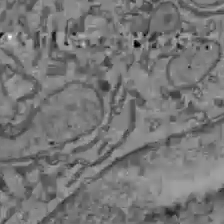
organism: C57BL Mouse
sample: Liver